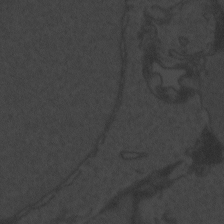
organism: Zebrafish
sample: Macrophage infected with Toxoplasma gondii